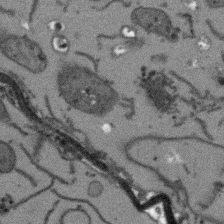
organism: Arabidopsis thaliana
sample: Root tip